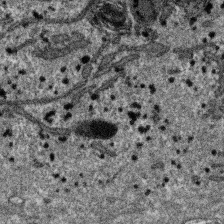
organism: Human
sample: Lung epithelial cells infected with SARS-CoV-2